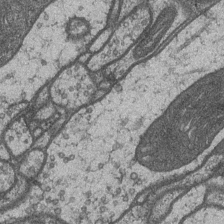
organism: Drosophila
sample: Optic medulla